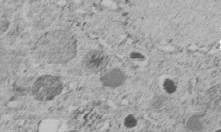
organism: C. elegans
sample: C. elegans embryo early stage